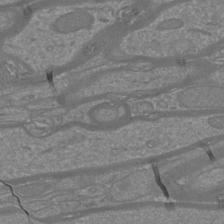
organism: Mouse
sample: Cortical neurons